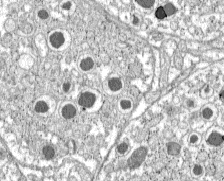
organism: C57BL Mouse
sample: Pancreatic islet